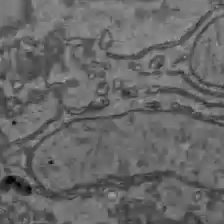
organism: C57BL Mouse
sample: Liver